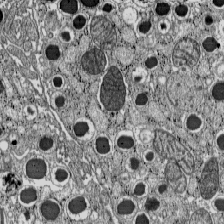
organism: C57BL Mouse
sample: Pancreatic islet